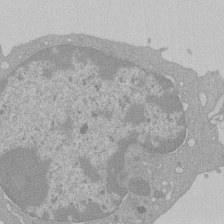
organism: Mouse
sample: Activated Pmel transgenic CD8+ T Cells